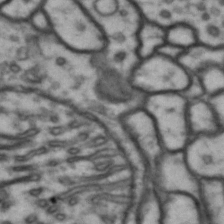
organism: Drosophila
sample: Brain